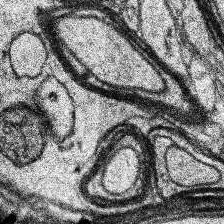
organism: Human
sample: Temporal Lobe